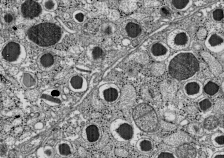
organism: C57BL Mouse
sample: Pancreatic islet